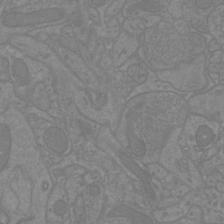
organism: Mouse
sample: Cortical neurons